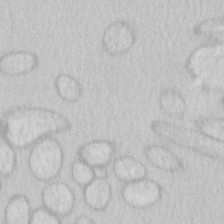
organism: Human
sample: HeLa cells